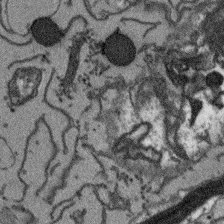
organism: Arabidopsis thaliana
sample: Root tip